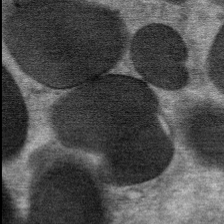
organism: Mouse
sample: Mouse Salivary gland